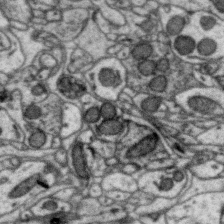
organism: Zebra finch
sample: Brain